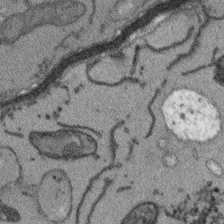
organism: Arabidopsis thaliana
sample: Root tip